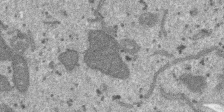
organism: Human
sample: Lung epithelial cells infected with SARS-CoV-2